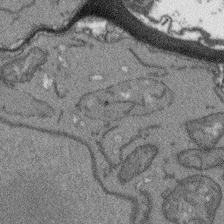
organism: Arabidopsis thaliana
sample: Root tip